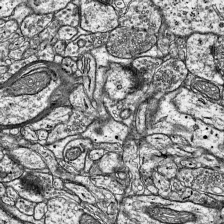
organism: Mouse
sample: Visual Cortex